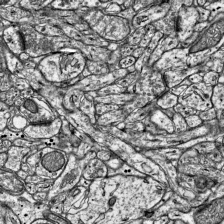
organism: Mouse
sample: Visual Cortex